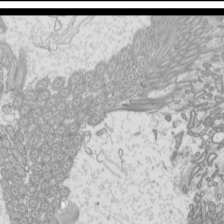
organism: Mouse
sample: Cilia; mouse epididymis